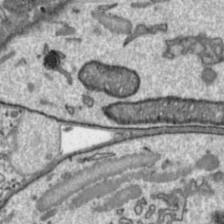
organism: Toxoplasma gondii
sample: Parasites in a vacuole inside a host cell